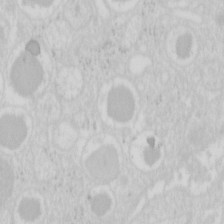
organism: Mouse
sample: Pancreas